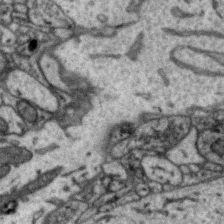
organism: Zebra finch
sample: Brain